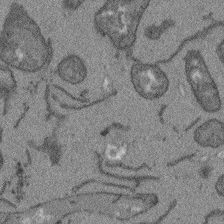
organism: Arabidopsis thaliana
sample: Root tip